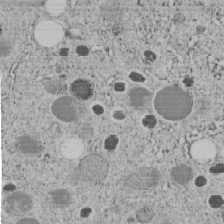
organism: C. elegans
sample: C. elegans embryo early stage